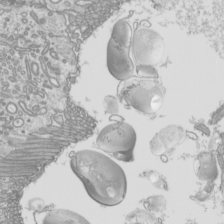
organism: Mouse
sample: Cilia; mouse epididymis